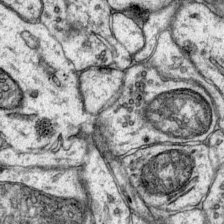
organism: Mouse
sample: Primary visual cortex